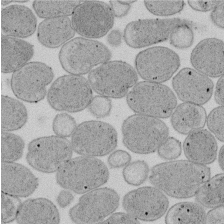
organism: E. coli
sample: Bacterial nucleoid